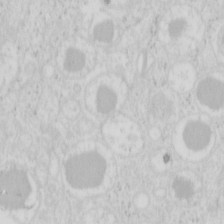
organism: Mouse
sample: Pancreas